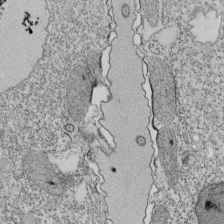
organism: Tetrahymena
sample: Cilia in tetrahymena